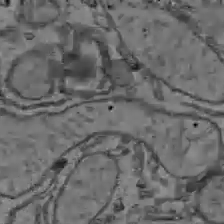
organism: C57BL Mouse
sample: Liver